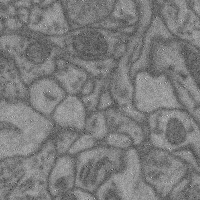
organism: Mouse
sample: Cerebral cortex